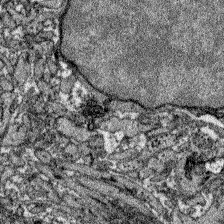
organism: Zebrafish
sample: Larval olfactory bulb